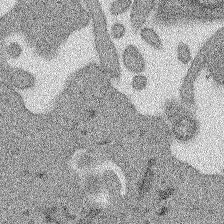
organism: Human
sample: HeLa cells